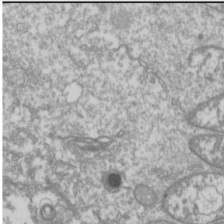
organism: Drosophila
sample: Cell division; meiosis; drosophila spermatocytes